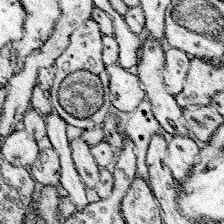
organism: Mouse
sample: Somatosensory cortex neuropil